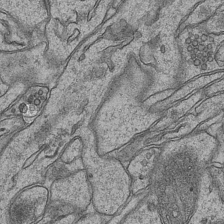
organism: Mouse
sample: CA1 Hippocampus